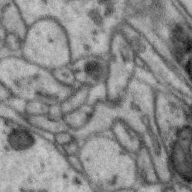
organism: Zebra finch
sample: Brain